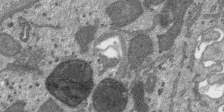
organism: Human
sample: Lung epithelial cells infected with SARS-CoV-2